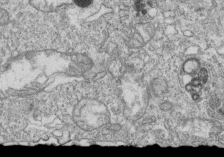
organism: Human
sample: HeLa cell HIV synapse